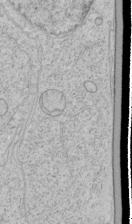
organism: Human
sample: Mitochondria in HCT116 cells